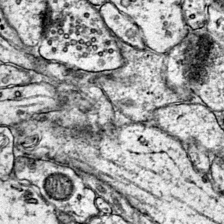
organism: Mouse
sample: Primary visual cortex